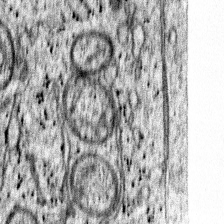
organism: Human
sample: HeLa cells